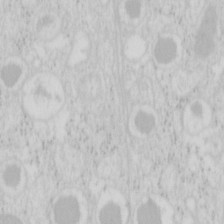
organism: Mouse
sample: Pancreas